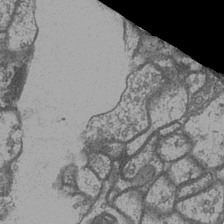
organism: Drosophila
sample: Optic medulla